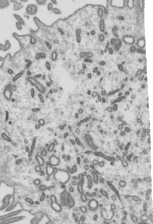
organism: Mouse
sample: Mouse epididymis efferent ductule cilia